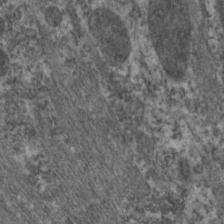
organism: C. elegans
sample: Pharynx